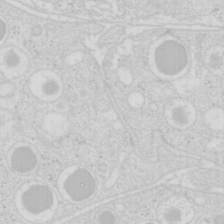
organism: Mouse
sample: Pancreas